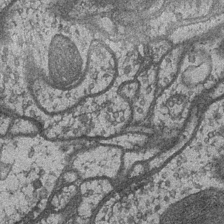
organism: Drosophila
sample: Optic medulla